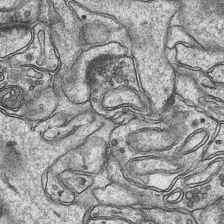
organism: Mouse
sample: CA1 Hippocampus